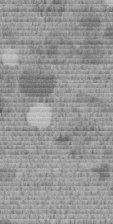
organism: C. elegans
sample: C. elegans embryo early stage